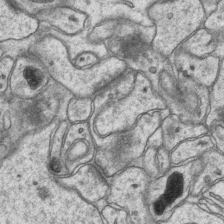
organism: Mouse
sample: CA1 Hippocampus